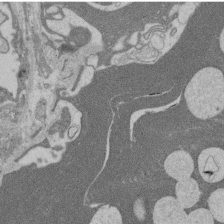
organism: Rat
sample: Salivary granule